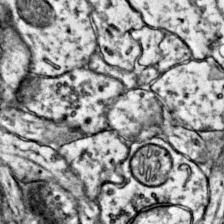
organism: Mouse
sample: Primary visual cortex